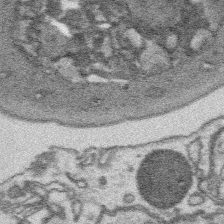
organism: Platynereis dumerilii